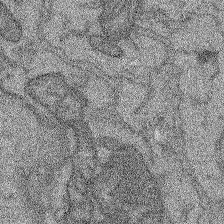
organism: Human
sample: HeLa cells